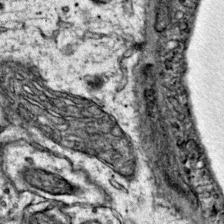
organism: Mouse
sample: Primary visual cortex